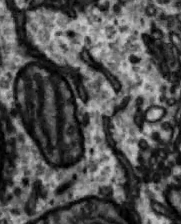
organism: Human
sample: HeLa cells